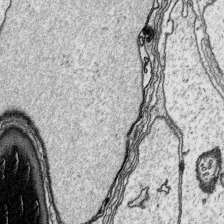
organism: Platynereis dumerilii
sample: Parapodia